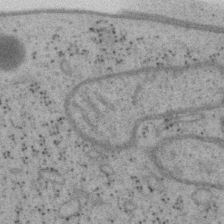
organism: Human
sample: HeLa cells